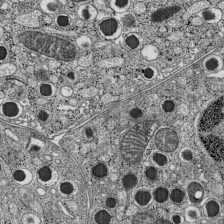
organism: C57BL Mouse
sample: Pancreatic islet